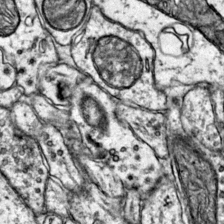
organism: Mouse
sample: Primary visual cortex